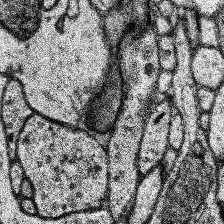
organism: Human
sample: Temporal Lobe